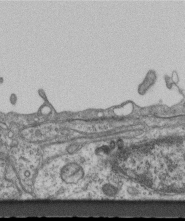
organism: Mouse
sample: Centriole in ependymal cells